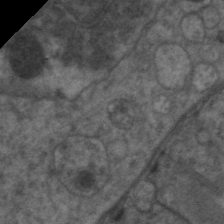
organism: C. elegans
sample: Pharynx